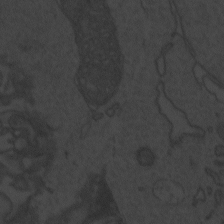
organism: Zebrafish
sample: Macrophage infected with Toxoplasma gondii